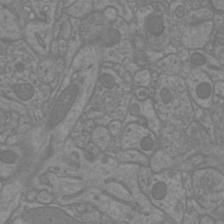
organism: Mouse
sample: Cortical neurons